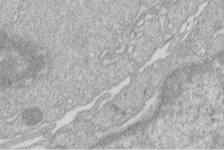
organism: Human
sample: Macrophage cells